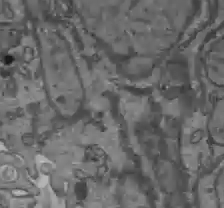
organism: C57BL Mouse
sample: Liver